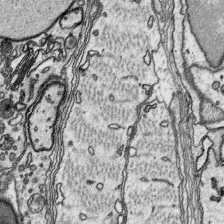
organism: Platynereis dumerilii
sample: Parapodia